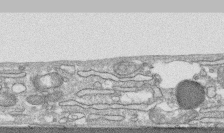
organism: Human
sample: CRL-1474